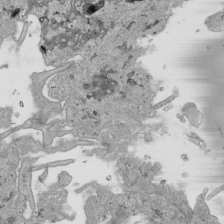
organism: Human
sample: Mitochondria in HCT116 cells